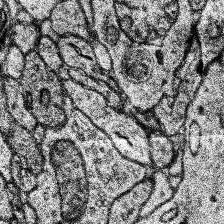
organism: Human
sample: Temporal Lobe